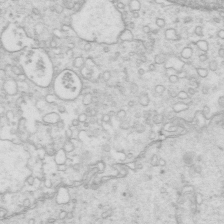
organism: Mouse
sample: Multiciliated cells